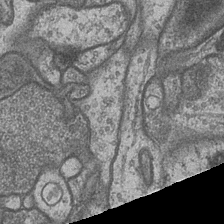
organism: Drosophila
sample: Optic medulla